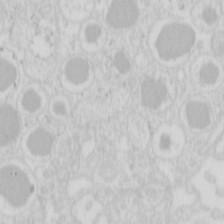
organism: Mouse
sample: Pancreas